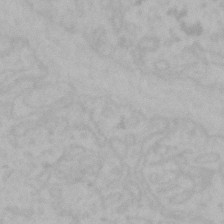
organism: Mouse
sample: Choroid plexus